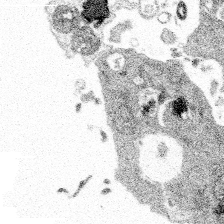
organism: Spongilla lacustris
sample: Multiple